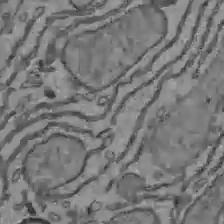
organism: C57BL Mouse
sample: Liver